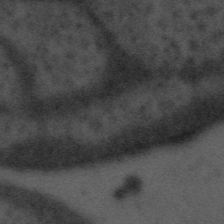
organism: Tuwongella immobilis